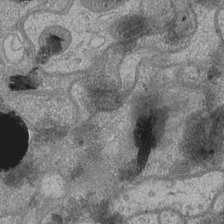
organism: Drosophila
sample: Optic medulla